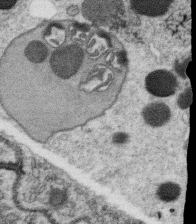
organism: C. elegans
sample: C. elegans oocyte; sperm cells